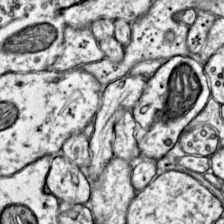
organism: Mouse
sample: Primary visual cortex